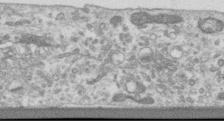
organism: Human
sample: Centriole in RPE cells